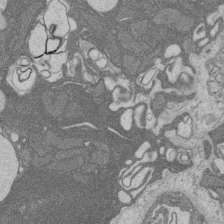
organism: Rat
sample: Salivary granule